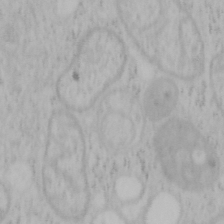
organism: Mouse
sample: OT-I killer T cells with ID8 ovarian cancer cells